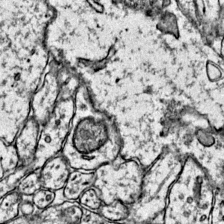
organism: Mouse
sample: Primary visual cortex